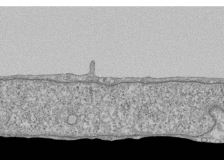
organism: Human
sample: Fibroblast cells